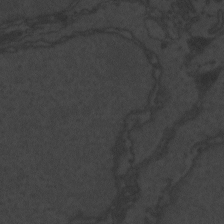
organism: Zebrafish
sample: Macrophage infected with Toxoplasma gondii